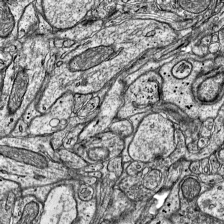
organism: Mouse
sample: Visual Cortex